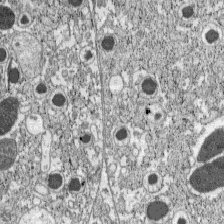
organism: C57BL Mouse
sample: Pancreatic islet